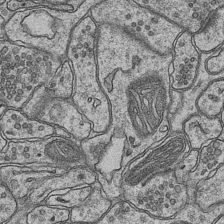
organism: Mouse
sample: CA1 Hippocampus